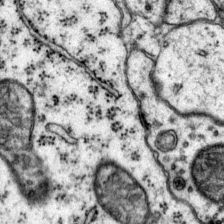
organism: Mouse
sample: Primary visual cortex